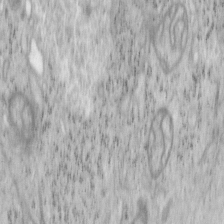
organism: Human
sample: HeLa cells